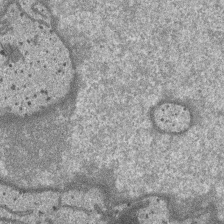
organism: Human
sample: Lung epithelial cells infected with SARS-CoV-2